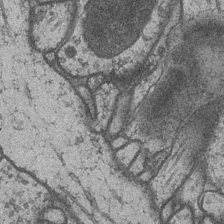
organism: Drosophila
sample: Optic medulla